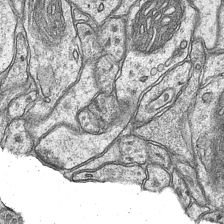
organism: Mouse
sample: CA1 Hippocampus